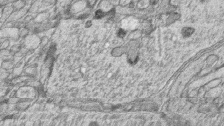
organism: Zebrafish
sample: synaptic ribbons in rod cells and cone cells